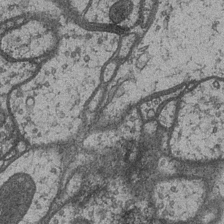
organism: Drosophila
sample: Optic medulla